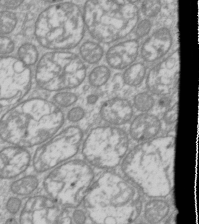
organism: Drosophila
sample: Cell division; meiosis; drosophila spermatocytes